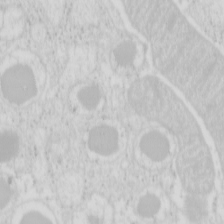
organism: Mouse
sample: Pancreas